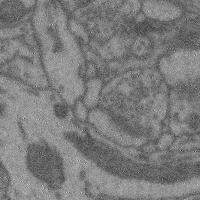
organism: Mouse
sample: Cerebral cortex